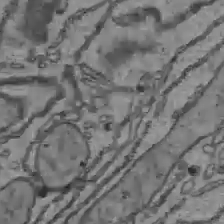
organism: C57BL Mouse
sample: Liver